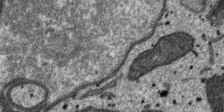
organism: Human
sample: Lung epithelial cells, uninfected (mock) control